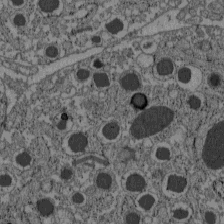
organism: C57BL Mouse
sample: Pancreatic islet